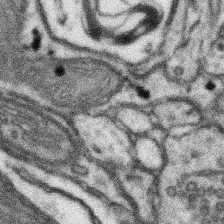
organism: Mouse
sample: Somatosensory cortex neuropil